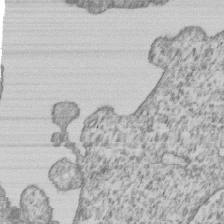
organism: Human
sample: MDA-MB-231 cells